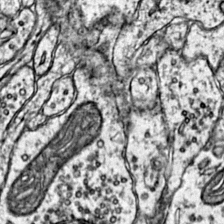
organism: Mouse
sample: Primary visual cortex